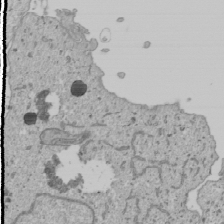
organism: Human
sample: Mitochondria in U2OS cells